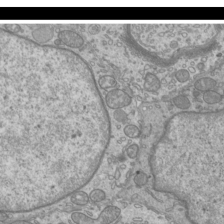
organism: Mouse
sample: Cilia; mouse epididymis